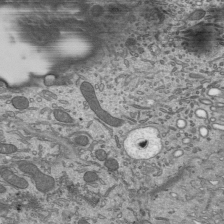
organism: Mouse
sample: Mouse epididymis efferent ductule cilia